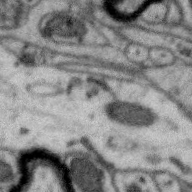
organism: Zebra finch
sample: Brain